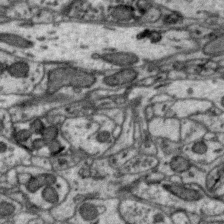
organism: Zebra finch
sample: Brain